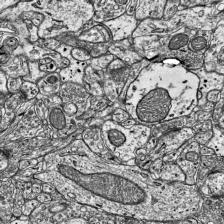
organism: Mouse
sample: Visual Cortex